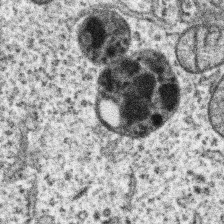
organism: Human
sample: HeLa cells